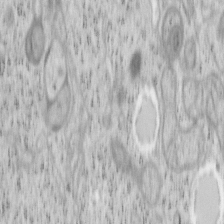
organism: Human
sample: HeLa cells